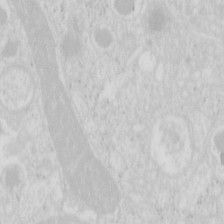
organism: Mouse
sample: Pancreas